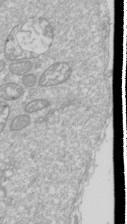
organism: Drosophila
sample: Cell division; meiosis; drosophila spermatocytes